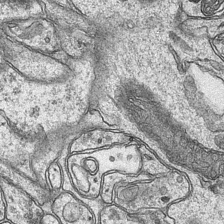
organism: Mouse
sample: CA1 Hippocampus